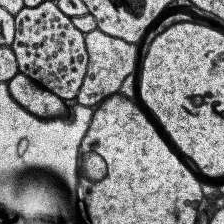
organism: Human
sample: Temporal Lobe